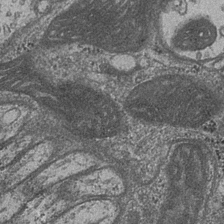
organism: Drosophila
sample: Optic medulla